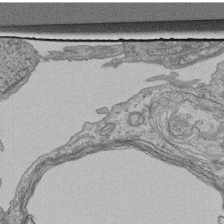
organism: Human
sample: Retinal organoid Rod and Cone cells